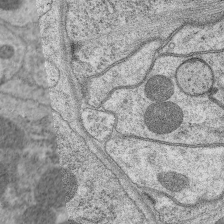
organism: C. elegans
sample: Pharynx